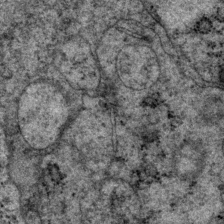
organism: P. pacificus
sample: Pharynx